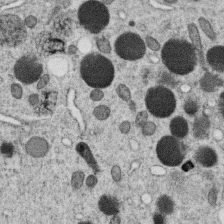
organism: C. elegans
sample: C. elegans oocyte; sperm cells